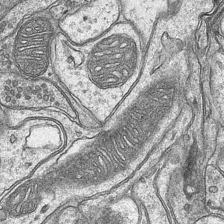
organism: Mouse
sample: CA1 Hippocampus